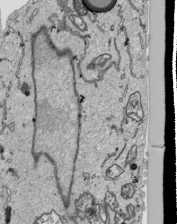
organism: Human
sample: Mitochondria in HCT116 cells